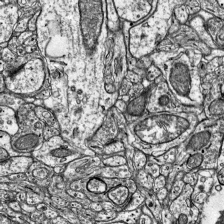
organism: Mouse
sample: Visual Cortex